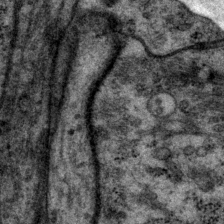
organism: P. pacificus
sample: Pharynx